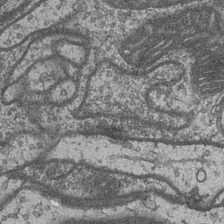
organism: Drosophila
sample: Optic medulla